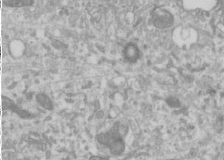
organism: Human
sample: Cilia; basal body in RPE cells